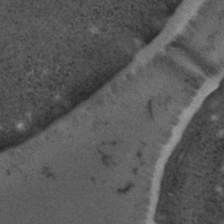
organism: C. elegans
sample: C. elegans embryo